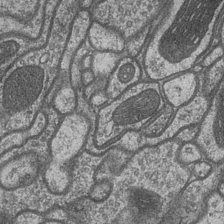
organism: Drosophila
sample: Optic medulla